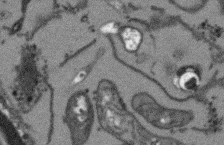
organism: Arabidopsis thaliana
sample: Root tip